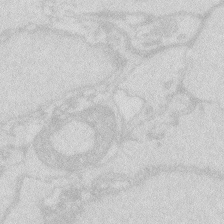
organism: Zebrafish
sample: Macrophage